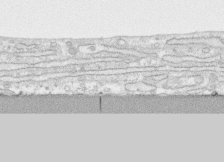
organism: Human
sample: CRL-1474